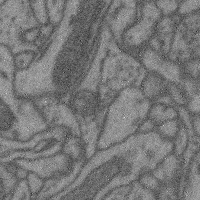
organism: Mouse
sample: Cerebral cortex